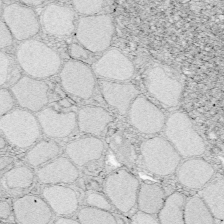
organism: Zebrafish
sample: Whole-Brain